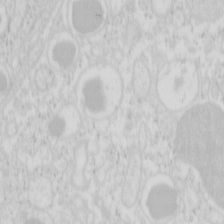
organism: Mouse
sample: Pancreas